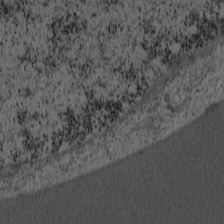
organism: African green monkey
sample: COS-7 cells